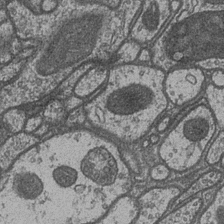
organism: Drosophila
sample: Optic medulla